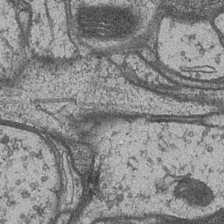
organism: Drosophila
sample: Optic medulla